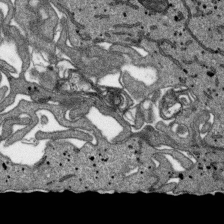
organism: Human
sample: Lung epithelial cells, uninfected (mock) control